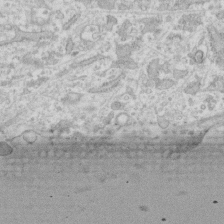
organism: Human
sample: Fibroblast cells